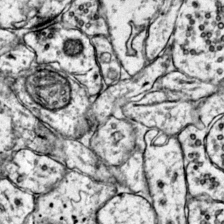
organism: Mouse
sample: Primary visual cortex